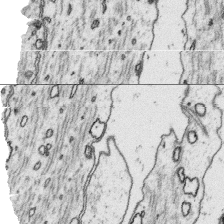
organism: Platynereis dumerilii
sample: Parapodia